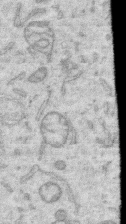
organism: Human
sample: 1205lu cells